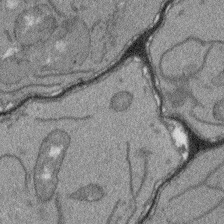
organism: Arabidopsis thaliana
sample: Root tip